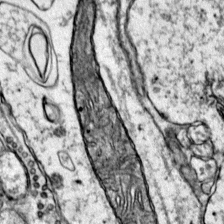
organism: Mouse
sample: Primary visual cortex